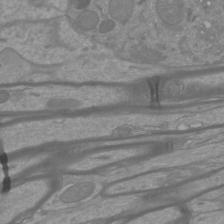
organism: Mouse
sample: Cortical neurons